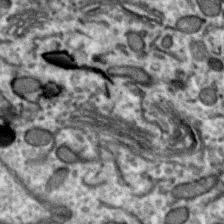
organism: Zebra finch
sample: Brain